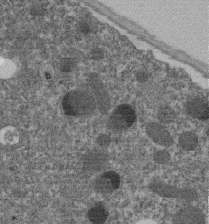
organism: C. elegans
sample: C. elegans embryo early stage